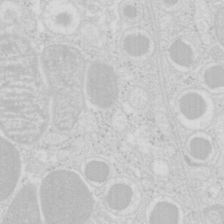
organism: Mouse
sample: Pancreas